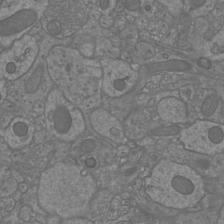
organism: Mouse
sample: Cortical neurons